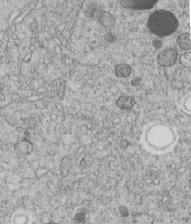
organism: C. elegans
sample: C. elegans embryo early stage